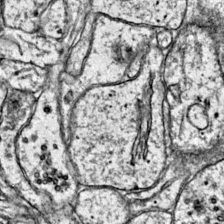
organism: Mouse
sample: Primary visual cortex